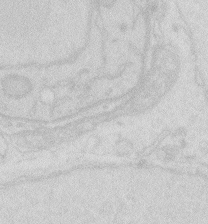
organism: Zebrafish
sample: Macrophage